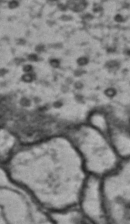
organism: Drosophila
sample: Brain